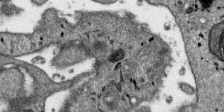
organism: Human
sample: Lung epithelial cells, uninfected (mock) control